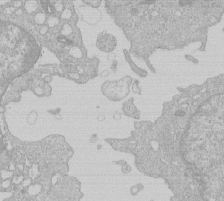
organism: Human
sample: Macrophage cells